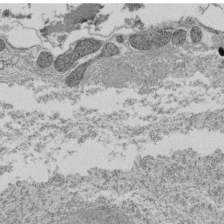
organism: Tetrahymena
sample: Cilia in tetrahymena